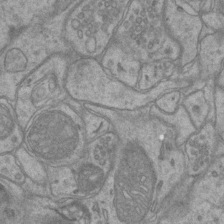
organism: Mouse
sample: CA1 Hippocampus